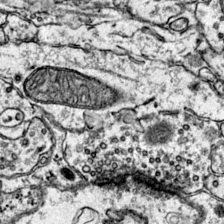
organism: Mouse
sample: Primary visual cortex